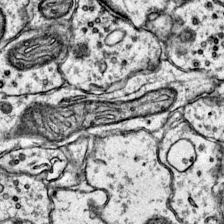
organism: Mouse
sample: Primary visual cortex